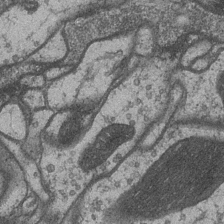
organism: Drosophila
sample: Optic medulla